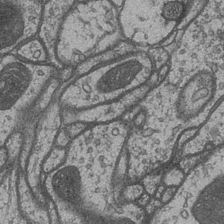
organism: Drosophila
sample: Optic medulla